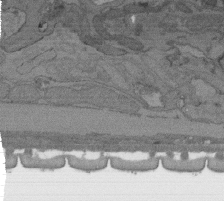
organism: C. elegans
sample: AFD neurons C. elegans